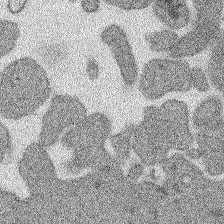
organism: Human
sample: HeLa cells